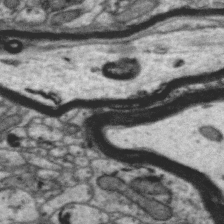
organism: Zebra finch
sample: Brain